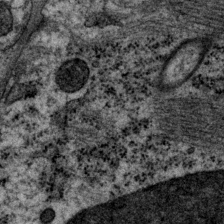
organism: P. pacificus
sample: Pharynx